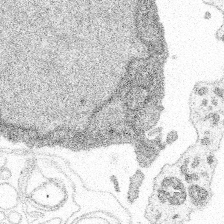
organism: Spongilla lacustris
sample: Multiple